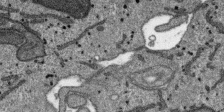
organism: Human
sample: Lung epithelial cells, uninfected (mock) control